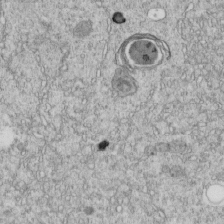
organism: C. elegans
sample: C. elegans embryo early stage